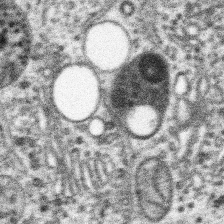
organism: Human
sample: HeLa cells